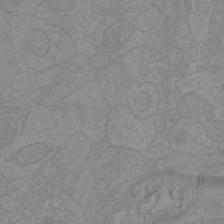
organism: Mouse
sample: Cortical neurons